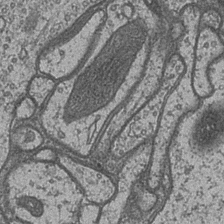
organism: Drosophila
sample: Optic medulla